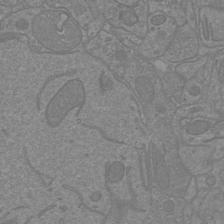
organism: Mouse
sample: Cortical neurons